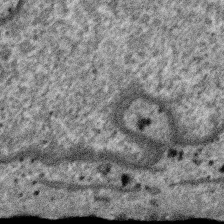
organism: Human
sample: Lung epithelial cells infected with SARS-CoV-2